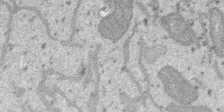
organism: Human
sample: Lung epithelial cells infected with SARS-CoV-2